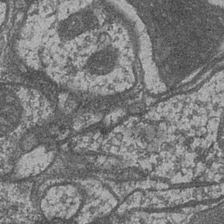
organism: Drosophila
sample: Optic medulla